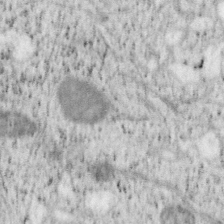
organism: Mouse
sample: OT-I killer T cells with ID8 ovarian cancer cells